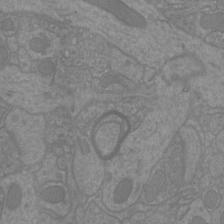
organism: Mouse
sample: Cortical neurons